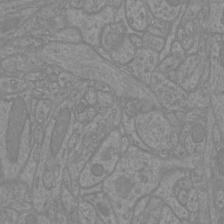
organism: Mouse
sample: Cortical neurons